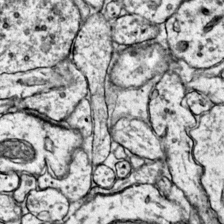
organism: Mouse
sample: Primary visual cortex